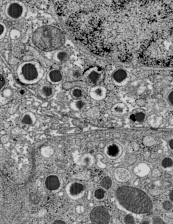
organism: C57BL Mouse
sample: Pancreatic islet